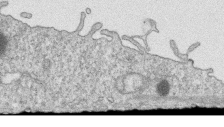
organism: Human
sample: HeLa cell HIV synapse